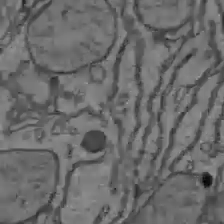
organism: C57BL Mouse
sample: Liver